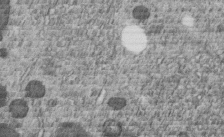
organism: C. elegans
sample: C. elegans embryo early stage